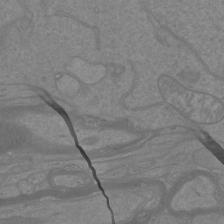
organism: Mouse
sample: Cortical neurons